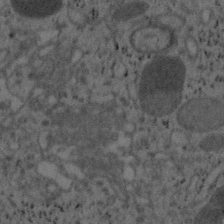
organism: Human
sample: HeLa cells